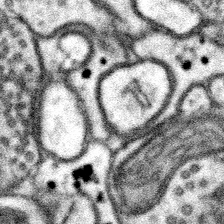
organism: Mouse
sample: Somatosensory cortex neuropil